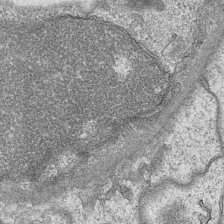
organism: Mouse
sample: CA1 Hippocampus